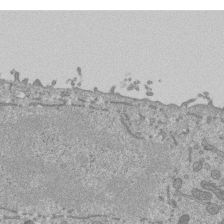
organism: Mouse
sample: ED-1 cell nuclei; centrioles